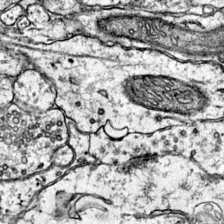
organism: Mouse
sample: Primary visual cortex